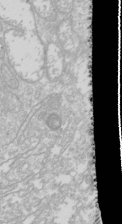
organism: Drosophila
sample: Cell division; meiosis; drosophila spermatocytes